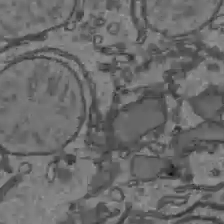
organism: C57BL Mouse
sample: Liver